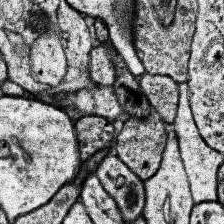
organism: Human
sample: Temporal Lobe